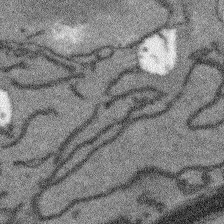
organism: Arabidopsis thaliana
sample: Root tip